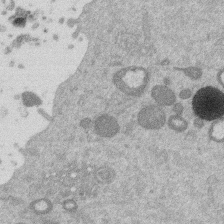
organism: Mouse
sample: Dividing mouse embryo 1 cell stage